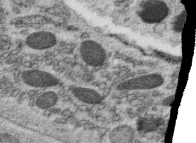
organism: C. elegans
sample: C. elegans oocyte; sperm cells